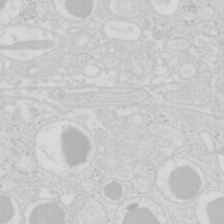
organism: Mouse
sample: Pancreas